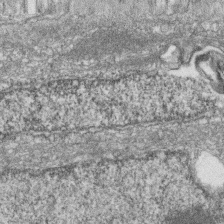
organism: Zebrafish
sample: Cilia; retinal pigment epithelium